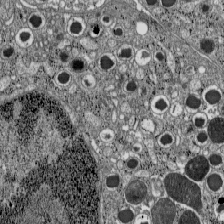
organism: C57BL Mouse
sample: Pancreatic islet